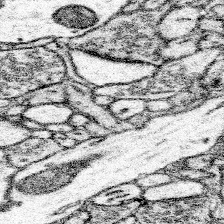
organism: Mouse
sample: Somatosensory cortex neuropil